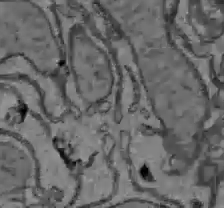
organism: C57BL Mouse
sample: Liver